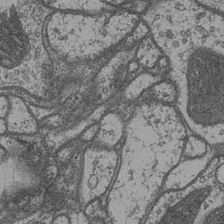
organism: Drosophila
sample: Optic medulla